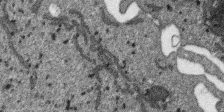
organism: Human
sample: Lung epithelial cells infected with SARS-CoV-2